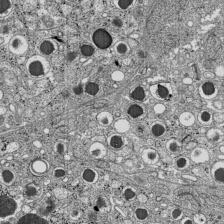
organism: C57BL Mouse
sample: Pancreatic islet